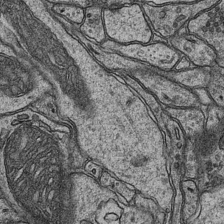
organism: Mouse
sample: CA1 Hippocampus